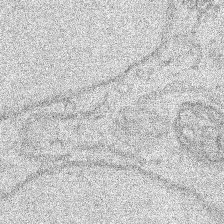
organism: Human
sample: Mitochondria in HCT116 cells